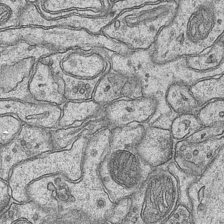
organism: Mouse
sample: CA1 Hippocampus